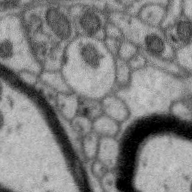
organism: Zebra finch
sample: Brain